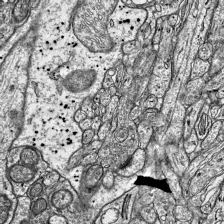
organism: Mouse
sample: Visual Cortex